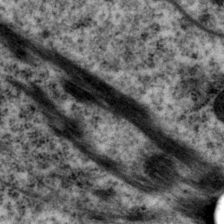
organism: P. pacificus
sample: Pharynx